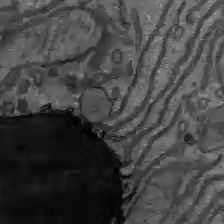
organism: C57BL Mouse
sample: Liver